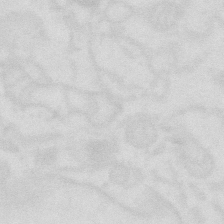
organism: Human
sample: HeLa cells